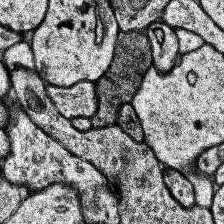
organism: Human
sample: Temporal Lobe